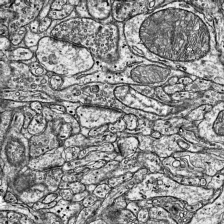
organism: Mouse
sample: Visual Cortex